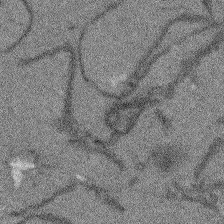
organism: Arabidopsis thaliana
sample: Root tip